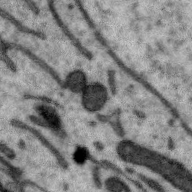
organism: Zebra finch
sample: Brain